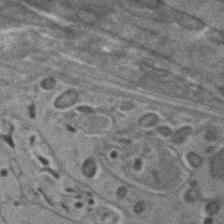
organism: C. elegans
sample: C. elegans embryo